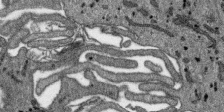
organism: Human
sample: Lung epithelial cells, uninfected (mock) control